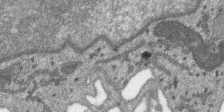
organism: Human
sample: Lung epithelial cells infected with SARS-CoV-2